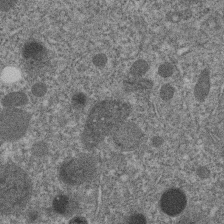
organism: C. elegans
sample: C. elegans embryo early stage